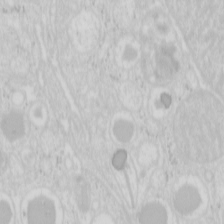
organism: Mouse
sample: Pancreas